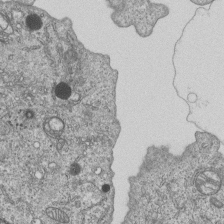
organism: Human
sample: MDA-MB-231 cells